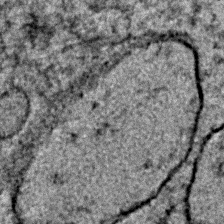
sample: Trachea